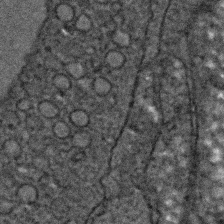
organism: C. elegans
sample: C. elegans embryo